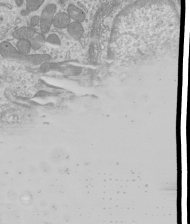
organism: Mouse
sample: Cilia; mouse epididymis